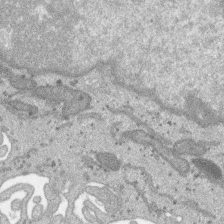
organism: Human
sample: Lung epithelial cells infected with SARS-CoV-2